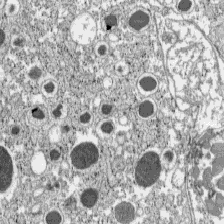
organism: C57BL Mouse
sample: Pancreatic islet